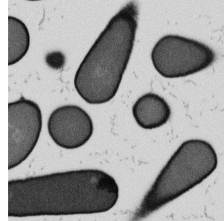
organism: B. subtilis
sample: Bacterial spore